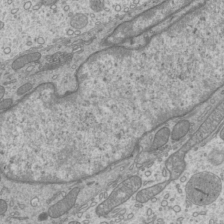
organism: Mouse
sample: Cilia; mouse epididymis